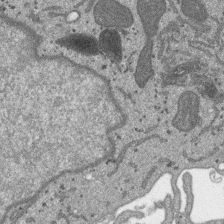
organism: Human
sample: Lung epithelial cells infected with SARS-CoV-2